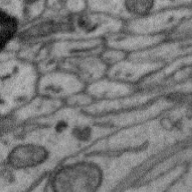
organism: Zebra finch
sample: Brain